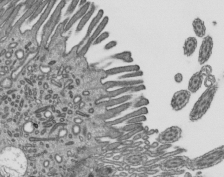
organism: Mouse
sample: Mouse epididymis efferent ductule cilia